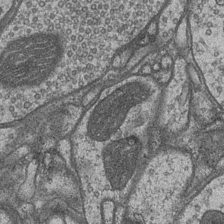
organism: Drosophila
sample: Optic medulla